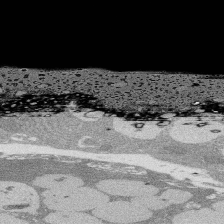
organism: Rat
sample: Salivary granule